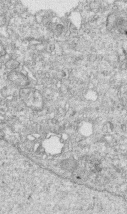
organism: Human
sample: HeLa cell HIV synapse